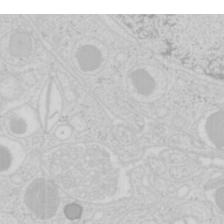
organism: Mouse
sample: Pancreas